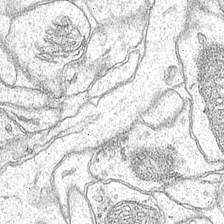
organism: Mouse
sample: CA1 Hippocampus